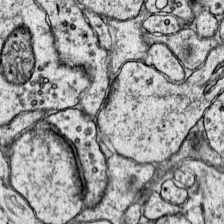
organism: Mouse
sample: Primary visual cortex